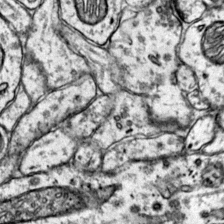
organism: Mouse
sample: Primary visual cortex